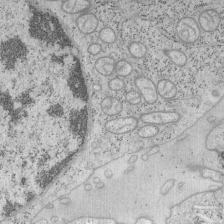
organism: Mouse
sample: OT-I killer T cells with ID8 ovarian cancer cells